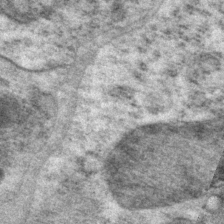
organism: P. pacificus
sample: Pharynx